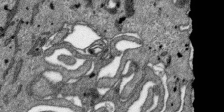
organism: Human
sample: Lung epithelial cells, uninfected (mock) control